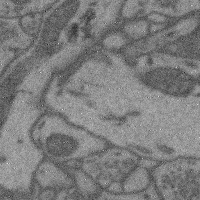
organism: Mouse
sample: Cerebral cortex